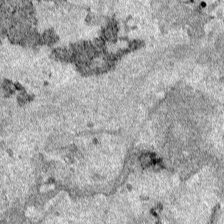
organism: Human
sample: Mitochondria in HCT116 cells